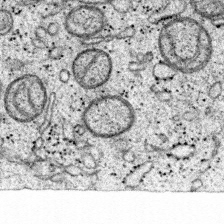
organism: Human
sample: HeLa cells